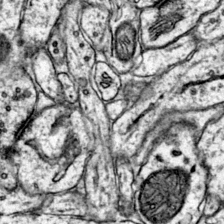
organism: Mouse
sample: Primary visual cortex